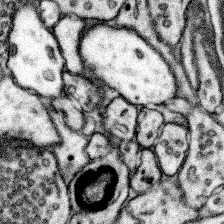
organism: Mouse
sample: Somatosensory cortex neuropil